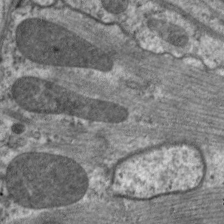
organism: C. elegans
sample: Pharynx